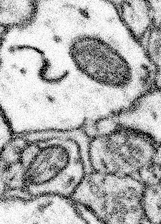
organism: Mouse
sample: Somatosensory cortex neuropil